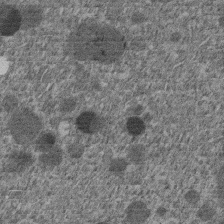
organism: C. elegans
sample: C. elegans embryo early stage